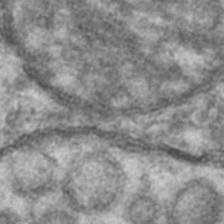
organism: C. elegans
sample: C. elegans embryo